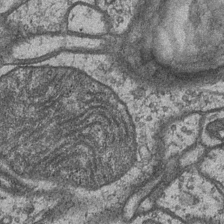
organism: Drosophila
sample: Optic medulla